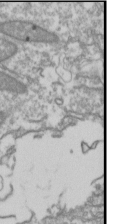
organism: Drosophila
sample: Cell division; meiosis; drosophila spermatocytes